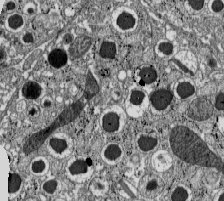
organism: C57BL Mouse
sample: Pancreatic islet